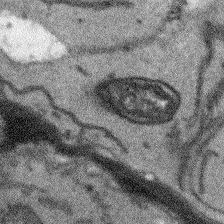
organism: Arabidopsis thaliana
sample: Root tip